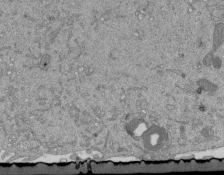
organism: Mouse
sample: ED-1 cell nuclei; centrioles